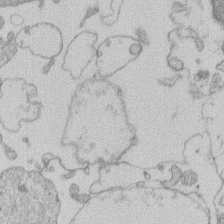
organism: Human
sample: Macrophage cells